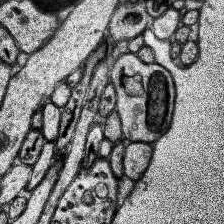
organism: Human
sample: Temporal Lobe